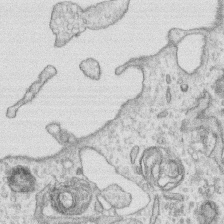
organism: Human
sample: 1205lu cells